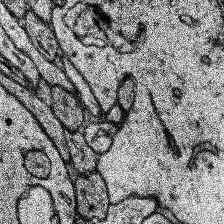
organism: Human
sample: Temporal Lobe